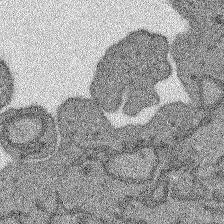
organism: Human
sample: HeLa cells